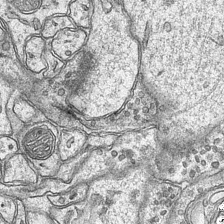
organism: Mouse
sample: CA1 Hippocampus